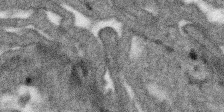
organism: Human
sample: Lung epithelial cells infected with SARS-CoV-2